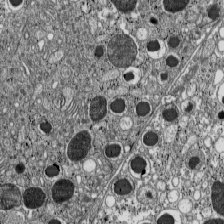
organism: C57BL Mouse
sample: Pancreatic islet